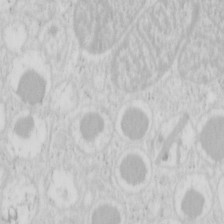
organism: Mouse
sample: Pancreas